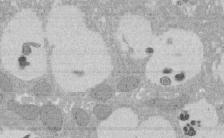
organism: Rat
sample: Salivary granule